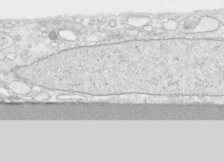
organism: Human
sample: CRL-1474